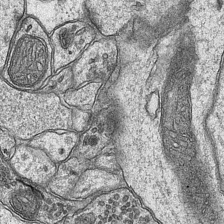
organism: Mouse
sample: CA1 Hippocampus